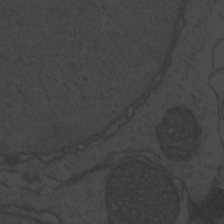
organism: Zebrafish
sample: Macrophage infected with Toxoplasma gondii